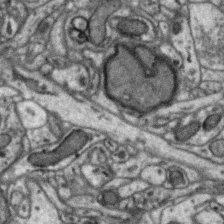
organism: Zebra finch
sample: Brain